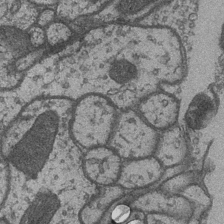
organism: Drosophila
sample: Optic medulla